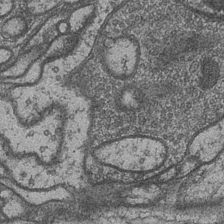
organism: Drosophila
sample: Optic medulla